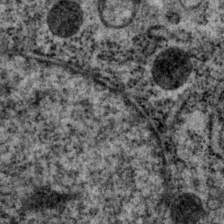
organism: P. pacificus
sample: Pharynx